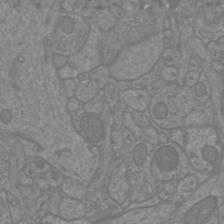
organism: Mouse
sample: Cortical neurons